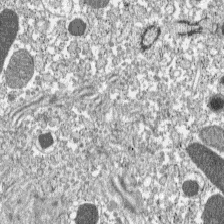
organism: C57BL Mouse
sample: Pancreatic islet